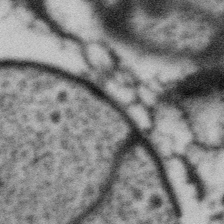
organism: Gemmata obscuriglobus